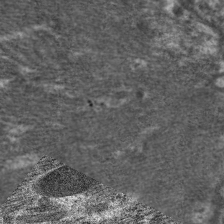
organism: C. elegans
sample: Pharynx